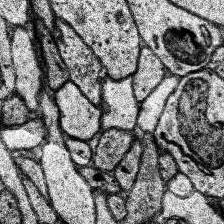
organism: Human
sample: Temporal Lobe